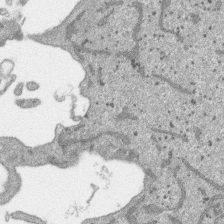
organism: Human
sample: Lung epithelial cells infected with SARS-CoV-2